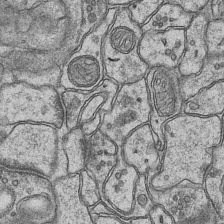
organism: Mouse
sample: CA1 Hippocampus